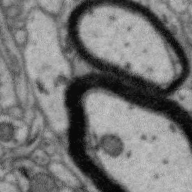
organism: Zebra finch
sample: Brain